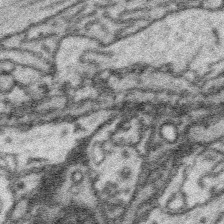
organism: Platynereis dumerilii